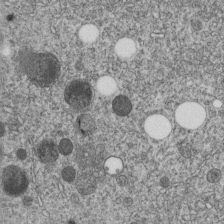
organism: C. elegans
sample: C. elegans embryo early stage